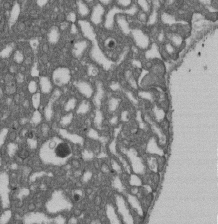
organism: Drosophila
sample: Nephrocyte